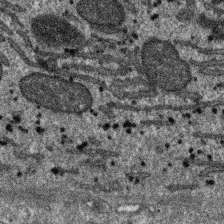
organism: Human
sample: Lung epithelial cells infected with SARS-CoV-2